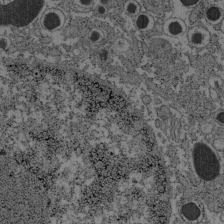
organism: C57BL Mouse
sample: Pancreatic islet